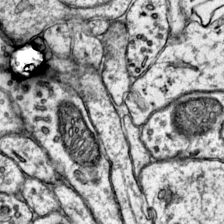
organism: Mouse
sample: Primary visual cortex